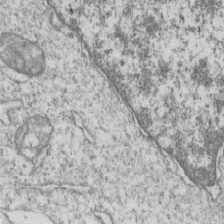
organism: Human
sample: MDA-MB-231 cells